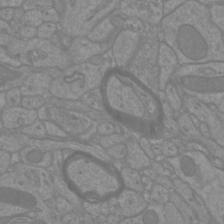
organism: Mouse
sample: Cortical neurons